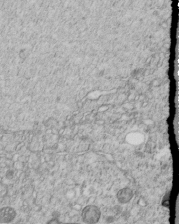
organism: C. elegans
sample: C. elegans embryo early stage